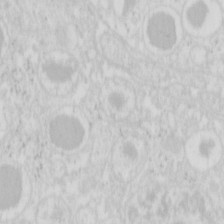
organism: Mouse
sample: Pancreas